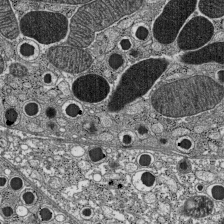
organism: C57BL Mouse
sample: Pancreatic islet